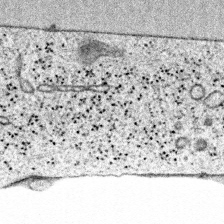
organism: Human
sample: HeLa cells